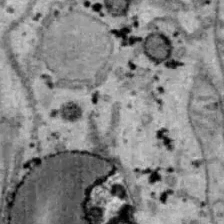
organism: Mouse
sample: Liver from an obese (ob/ob) mouse